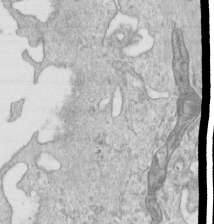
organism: Human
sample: Centriole in RPE cells